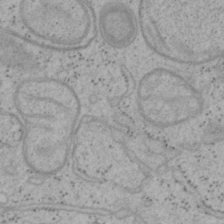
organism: Human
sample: HeLa cells